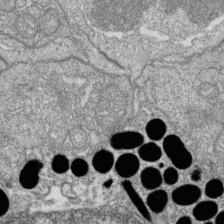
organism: Zebrafish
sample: Cilia; retinal pigment epithelium